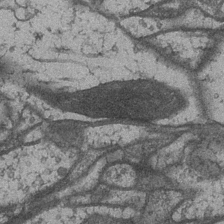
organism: Drosophila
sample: Optic medulla